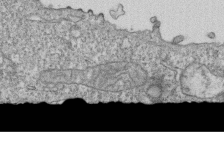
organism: Human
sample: HeLa cell HIV synapse